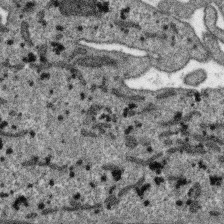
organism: Human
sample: Lung epithelial cells infected with SARS-CoV-2